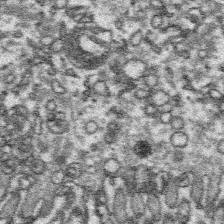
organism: Platynereis dumerilii